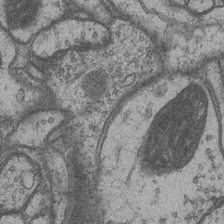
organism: Drosophila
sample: Optic medulla